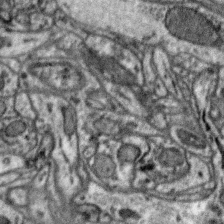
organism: Zebra finch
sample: Brain